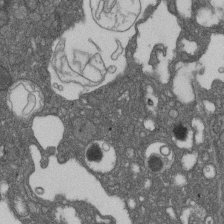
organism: Drosophila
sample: Nephrocyte